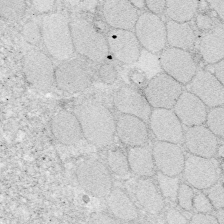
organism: Zebrafish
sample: Whole-Brain